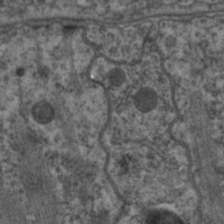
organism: C. elegans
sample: Pharynx